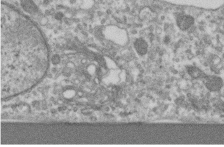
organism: Human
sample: Centriole in RPE cells